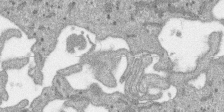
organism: Human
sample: Lung epithelial cells infected with SARS-CoV-2